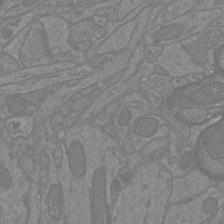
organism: Mouse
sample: Cortical neurons